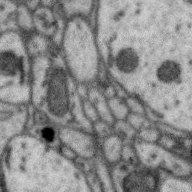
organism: Zebra finch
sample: Brain